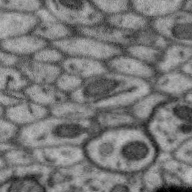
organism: Zebra finch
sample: Brain